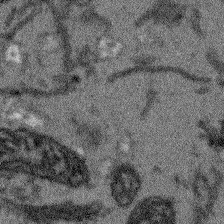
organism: Arabidopsis thaliana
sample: Root tip